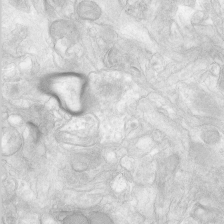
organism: Human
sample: Neocortex